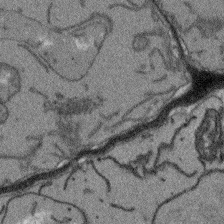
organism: Arabidopsis thaliana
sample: Root tip